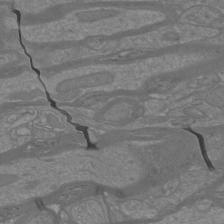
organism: Mouse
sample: Cortical neurons